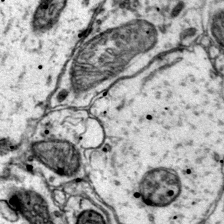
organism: Mouse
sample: Primary visual cortex